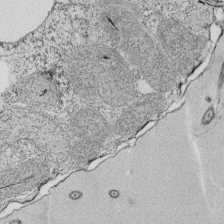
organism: Tetrahymena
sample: Cilia in tetrahymena